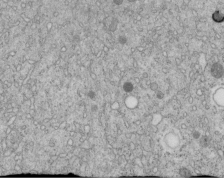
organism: C. elegans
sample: C. elegans embryo early stage